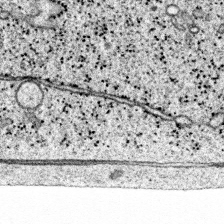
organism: Human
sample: HeLa cells